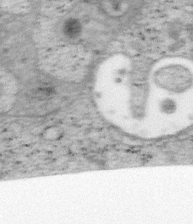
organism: Mouse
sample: OT-I killer T cells with ID8 ovarian cancer cells